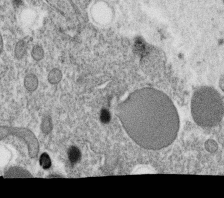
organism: C. elegans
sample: C. elegans oocyte; sperm cells